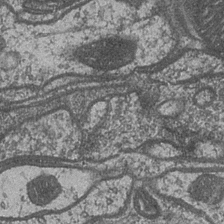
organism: Drosophila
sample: Optic medulla